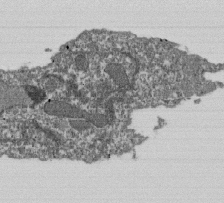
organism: Dictyostelium discoideum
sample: Dictyostelium multivesicular bodies